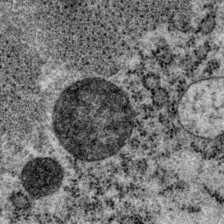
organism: P. pacificus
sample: Pharynx